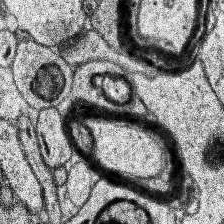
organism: Human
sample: Temporal Lobe